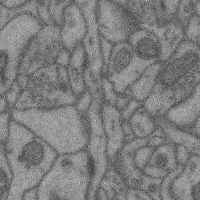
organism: Mouse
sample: Cerebral cortex